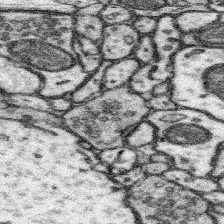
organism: Mouse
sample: Somatosensory cortex neuropil